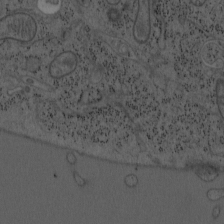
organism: Mouse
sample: OT-I killer T cells with ID8 ovarian cancer cells